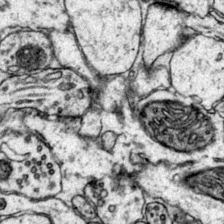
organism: Mouse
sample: Primary visual cortex